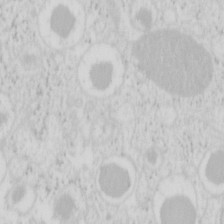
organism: Mouse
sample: Pancreas